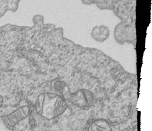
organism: Human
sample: MDA-MB-231 cells